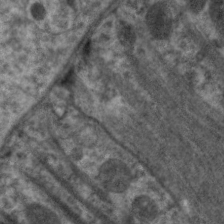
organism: C. elegans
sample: Pharynx